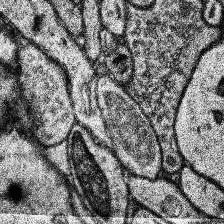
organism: Human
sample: Temporal Lobe